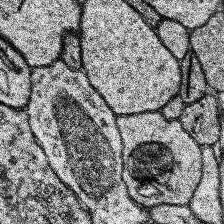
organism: Human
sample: Temporal Lobe